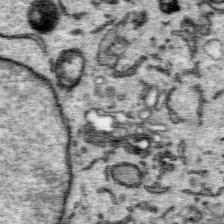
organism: Human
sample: HeLa cells